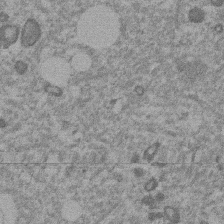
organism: Mouse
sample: Dividing mouse embryo 1 cell stage